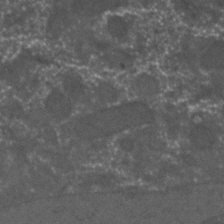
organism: C. elegans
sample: C. elegans embryo